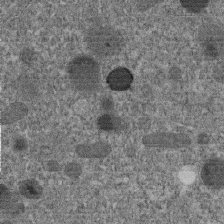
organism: C. elegans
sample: C. elegans embryo early stage